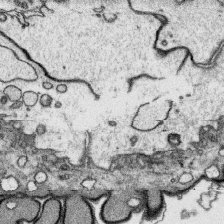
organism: Platynereis dumerilii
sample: Parapodia